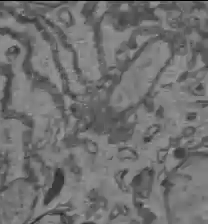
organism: C57BL Mouse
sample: Liver